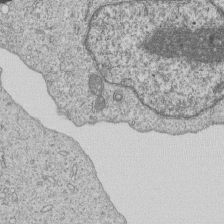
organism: Human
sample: MDA-MB-231 cells